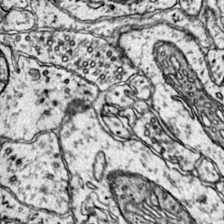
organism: Mouse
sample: Primary visual cortex